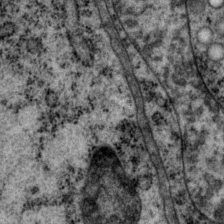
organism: P. pacificus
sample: Pharynx